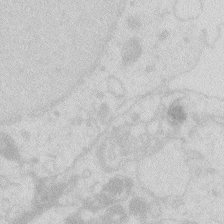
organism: Zebrafish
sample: Macrophage